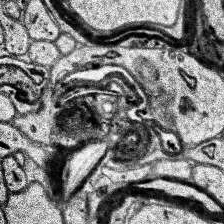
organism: Human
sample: Temporal Lobe